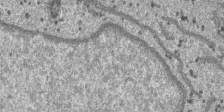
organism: Human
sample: Lung epithelial cells infected with SARS-CoV-2